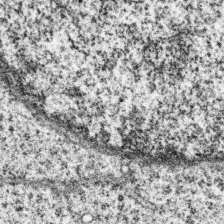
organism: Human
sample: HeLa cells